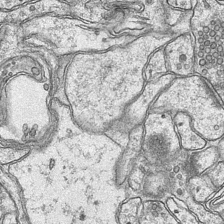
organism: Mouse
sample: CA1 Hippocampus